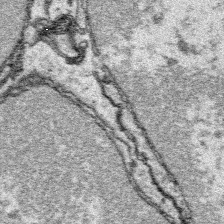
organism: Platynereis dumerilii